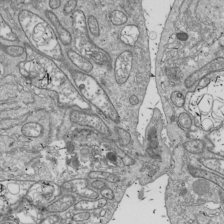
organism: Drosophila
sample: Cell division; meiosis; drosophila spermatocytes